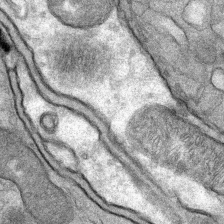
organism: Mouse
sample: Mouse Salivary gland